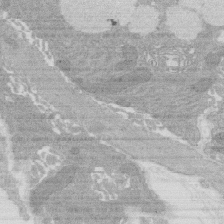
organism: Rat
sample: Salivary granule